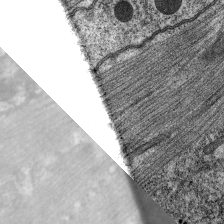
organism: C. elegans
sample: Pharynx